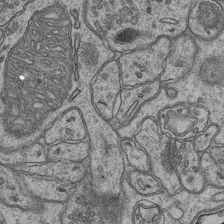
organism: Mouse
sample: CA1 Hippocampus